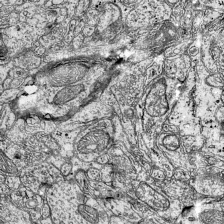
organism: Mouse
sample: Visual Cortex